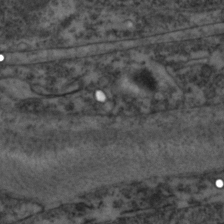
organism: Zebrafish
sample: Zebrafish embryo